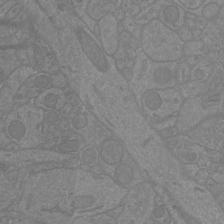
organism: Mouse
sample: Cortical neurons